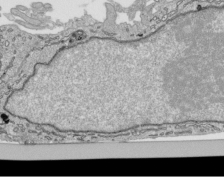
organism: Human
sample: Mitochondria in HCT116 cells